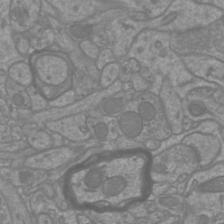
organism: Mouse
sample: Cortical neurons